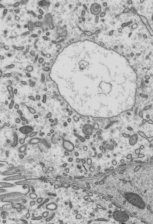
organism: Mouse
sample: Mouse epididymis efferent ductule cilia